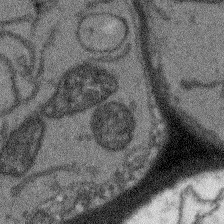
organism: Arabidopsis thaliana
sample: Root tip